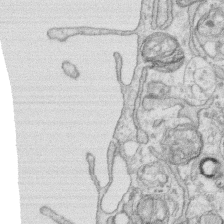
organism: Human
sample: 1205lu cells